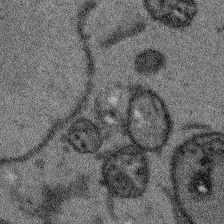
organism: Arabidopsis thaliana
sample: Root tip